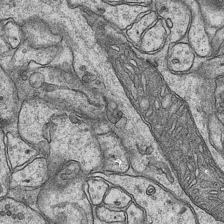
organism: Mouse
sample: CA1 Hippocampus